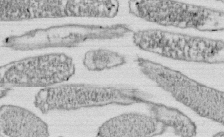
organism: E. coli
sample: Bacterial nucleoid